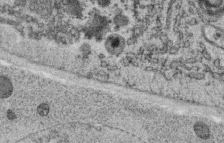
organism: C. elegans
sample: C. elegans oocyte; sperm cells